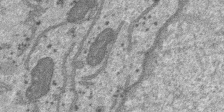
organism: Human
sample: Lung epithelial cells infected with SARS-CoV-2